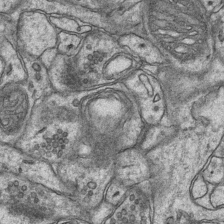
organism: Mouse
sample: CA1 Hippocampus